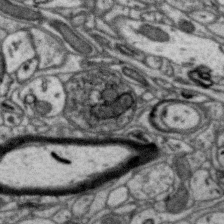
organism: Zebra finch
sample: Brain